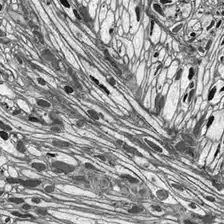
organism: Drosophila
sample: Optic lobe